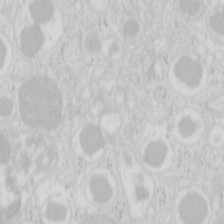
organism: Mouse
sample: Pancreas